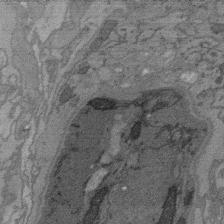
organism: C. elegans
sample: AFD neurons C. elegans